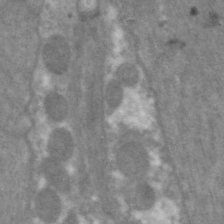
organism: C. elegans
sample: Pharynx